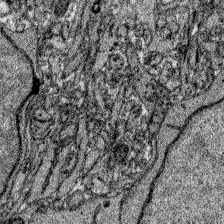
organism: Zebrafish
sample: Larval olfactory bulb